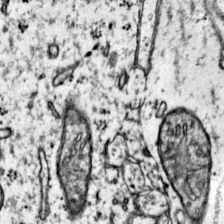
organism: Mouse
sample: Primary visual cortex